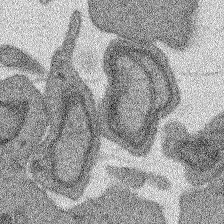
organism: Human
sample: HeLa cells